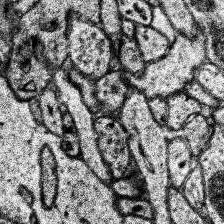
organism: Human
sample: Temporal Lobe